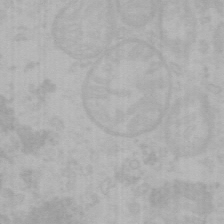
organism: Mouse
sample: Choroid plexus